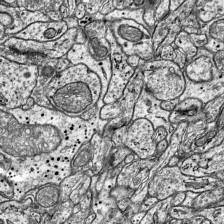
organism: Mouse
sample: Visual Cortex